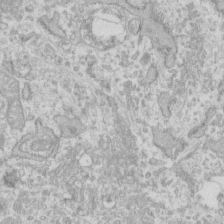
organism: Human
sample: Fibroblast cells